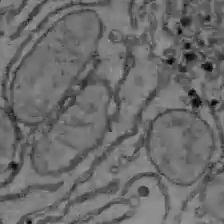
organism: C57BL Mouse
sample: Liver